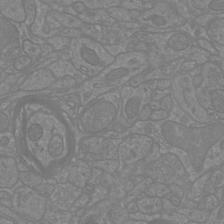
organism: Mouse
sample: Cortical neurons